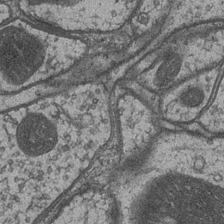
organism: Drosophila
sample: Optic medulla